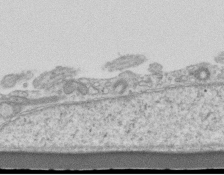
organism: Mouse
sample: Centriole in ependymal cells